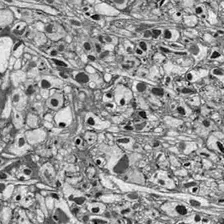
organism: Drosophila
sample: Optic lobe